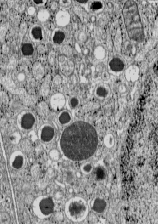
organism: C57BL Mouse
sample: Pancreatic islet